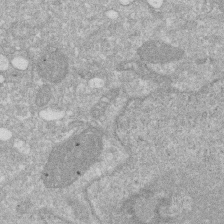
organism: Human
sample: HIV infected U937 cells